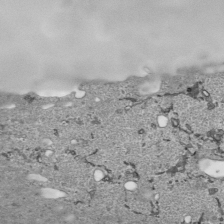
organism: Human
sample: Mitochondria in HCT116 cells